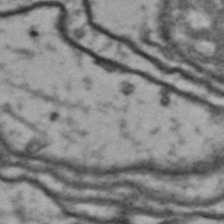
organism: Drosophila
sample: Brain